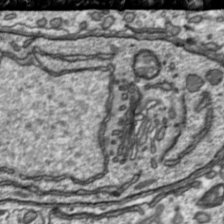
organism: Toxoplasma gondii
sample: Parasites in a vacuole inside a host cell